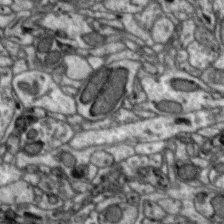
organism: Zebra finch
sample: Brain